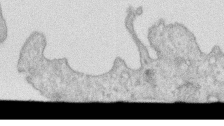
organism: Human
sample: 1205lu cells